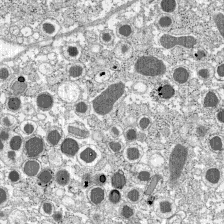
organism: C57BL Mouse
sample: Pancreatic islet